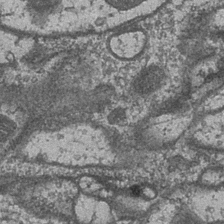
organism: Drosophila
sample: Optic medulla